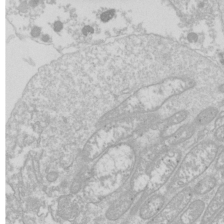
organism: Drosophila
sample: Cell division; meiosis; drosophila spermatocytes